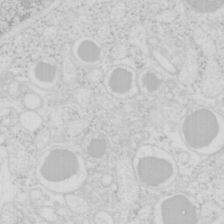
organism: Mouse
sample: Pancreas